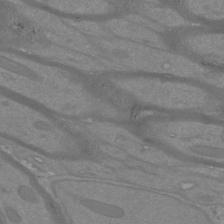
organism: Mouse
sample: Cortical neurons